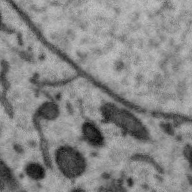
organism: Zebra finch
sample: Brain